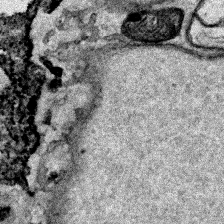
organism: Human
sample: Mitochondria in HCT116 cells